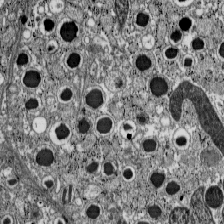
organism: C57BL Mouse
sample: Pancreatic islet